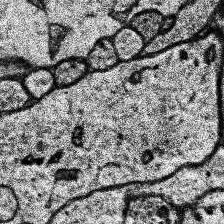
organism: Human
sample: Temporal Lobe